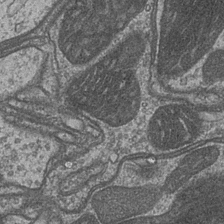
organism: Drosophila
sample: Optic medulla